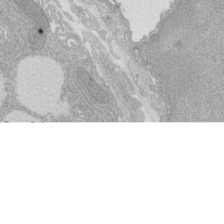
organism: Rat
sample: Salivary granule